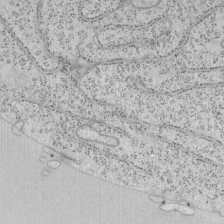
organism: Mouse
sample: OT-I killer T cells with ID8 ovarian cancer cells